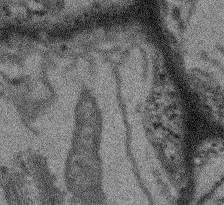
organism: Arabidopsis thaliana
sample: Root tip